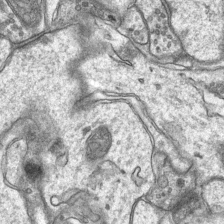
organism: Mouse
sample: CA1 Hippocampus